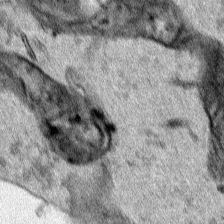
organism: Human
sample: Mitochondria in HCT116 cells